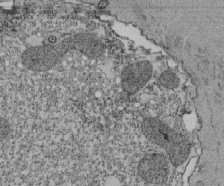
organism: Tetrahymena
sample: Cilia in tetrahymena